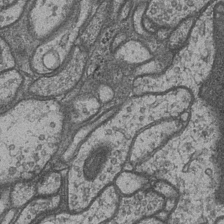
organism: Drosophila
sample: Optic medulla